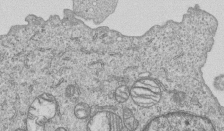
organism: Human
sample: MDA-MB-231 cells